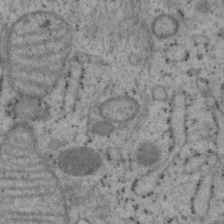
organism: Human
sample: HeLa cells